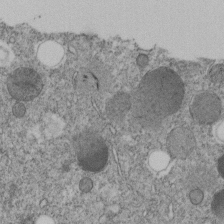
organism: C. elegans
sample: C. elegans embryo early stage